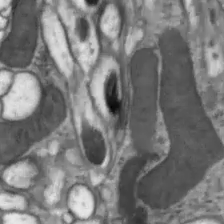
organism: Drosophila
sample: Optic lobe